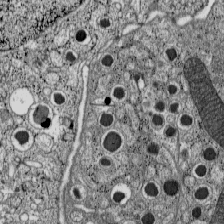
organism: C57BL Mouse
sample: Pancreatic islet